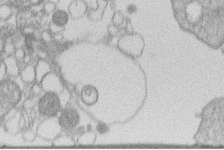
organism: Human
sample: Macrophage cells